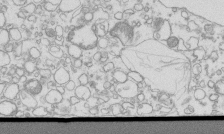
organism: Mouse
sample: Macrophages